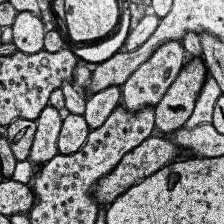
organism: Human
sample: Temporal Lobe